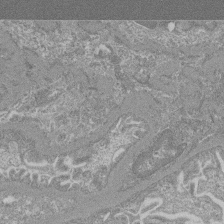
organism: Mouse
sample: Glomerulus